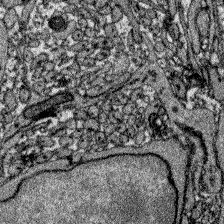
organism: Zebrafish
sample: Larval olfactory bulb